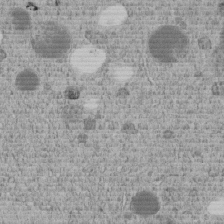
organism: C. elegans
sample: C. elegans embryo early stage